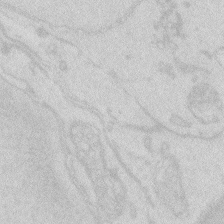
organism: Zebrafish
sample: Macrophage